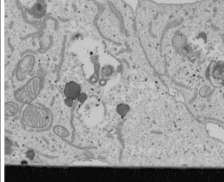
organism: Human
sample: Mitochondria in U2OS cells